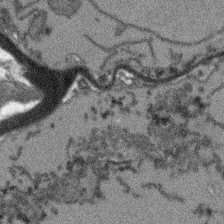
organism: Arabidopsis thaliana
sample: Root tip